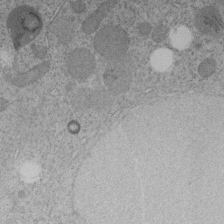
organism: C. elegans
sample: C. elegans embryo early stage